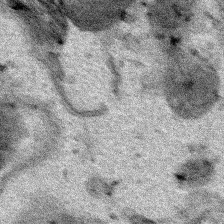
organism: Human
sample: Mitochondria in HCT116 cells